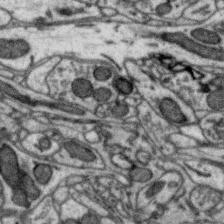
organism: Zebra finch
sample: Brain